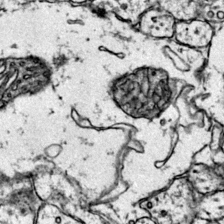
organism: Mouse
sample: Primary visual cortex